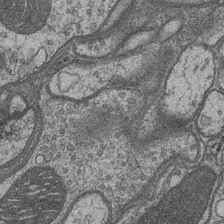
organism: Drosophila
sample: Optic medulla